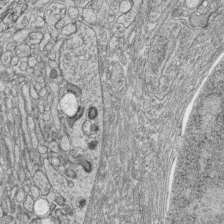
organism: Zebrafish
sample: synaptic ribbons in rod cells and cone cells